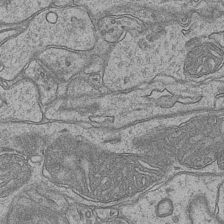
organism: Mouse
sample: CA1 Hippocampus